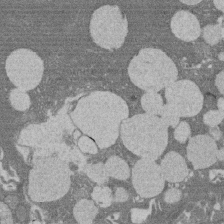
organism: Rat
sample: Salivary granule